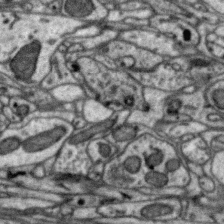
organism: Zebra finch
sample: Brain